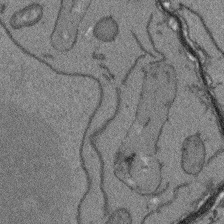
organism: Arabidopsis thaliana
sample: Root tip